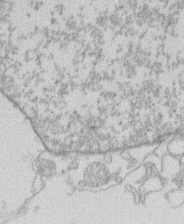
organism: Human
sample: Macrophage cells